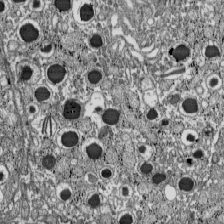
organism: C57BL Mouse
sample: Pancreatic islet